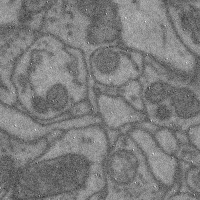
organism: Mouse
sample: Cerebral cortex